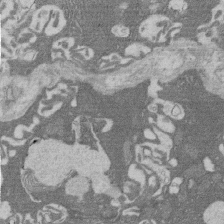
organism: Rat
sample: Salivary granule